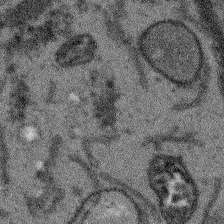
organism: Arabidopsis thaliana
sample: Root tip